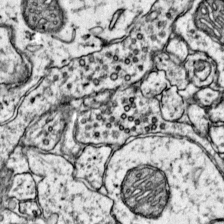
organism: Mouse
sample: Primary visual cortex